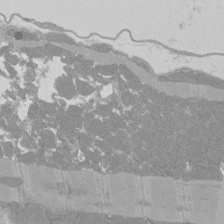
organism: Rat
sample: Left ventricle